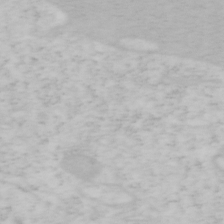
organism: Mouse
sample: OT-I killer T cells with ID8 ovarian cancer cells